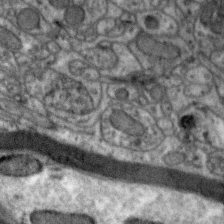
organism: Zebra finch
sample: Brain